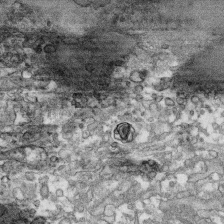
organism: Human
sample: CRL-1474